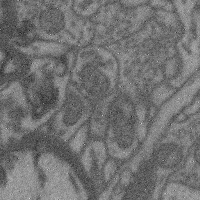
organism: Mouse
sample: Cerebral cortex